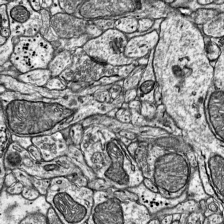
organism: Mouse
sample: Visual Cortex